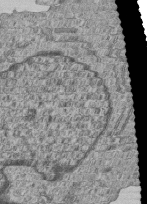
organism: Human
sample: MDA-MB-231 cells